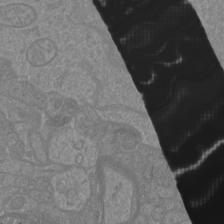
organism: Mouse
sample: Cortical neurons